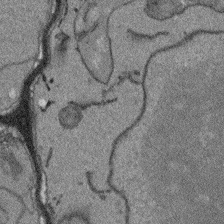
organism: Arabidopsis thaliana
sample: Root tip